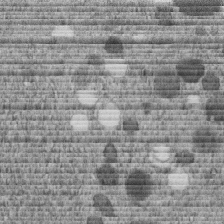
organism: C. elegans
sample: C. elegans embryo early stage